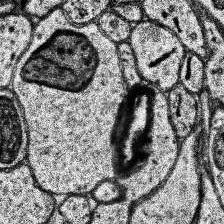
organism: Human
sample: Temporal Lobe